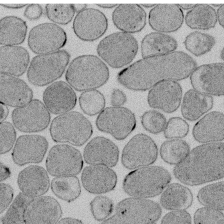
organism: E. coli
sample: Bacterial nucleoid